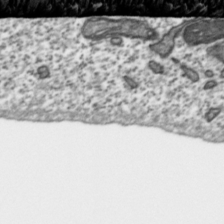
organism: Toxoplasma gondii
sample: Parasites in a vacuole inside a host cell